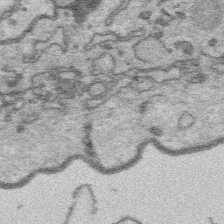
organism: Platynereis dumerilii